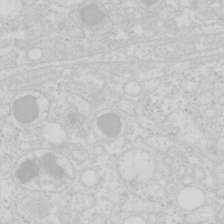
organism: Mouse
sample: Pancreas